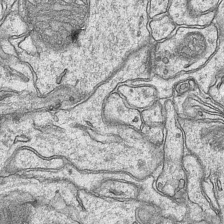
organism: Mouse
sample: CA1 Hippocampus